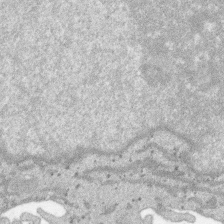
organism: Human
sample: Lung epithelial cells infected with SARS-CoV-2